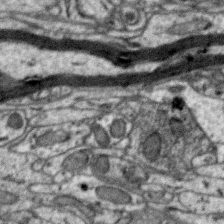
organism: Zebra finch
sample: Brain